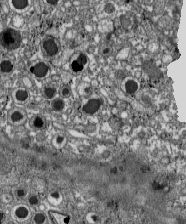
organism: C57BL Mouse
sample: Pancreatic islet